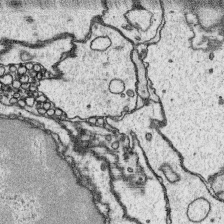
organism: Platynereis dumerilii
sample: Parapodia